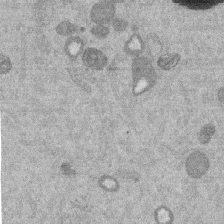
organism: Mouse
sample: Dividing mouse embryo 1 cell stage